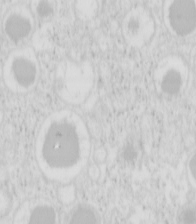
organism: Mouse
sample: Pancreas